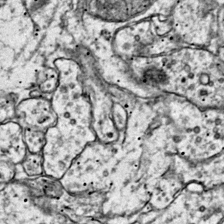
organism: Mouse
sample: Primary visual cortex